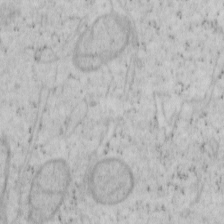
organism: Human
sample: HeLa cells